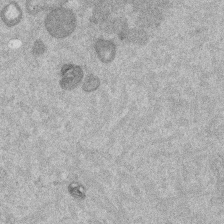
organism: Mouse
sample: Dividing mouse embryo 1 cell stage